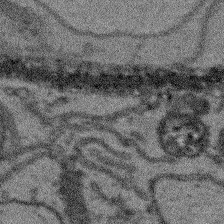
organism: Arabidopsis thaliana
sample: Root tip